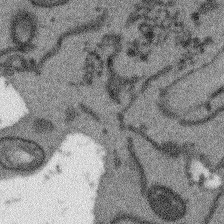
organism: Arabidopsis thaliana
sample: Root tip